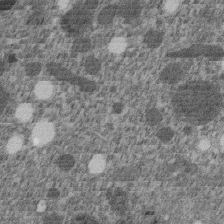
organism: C. elegans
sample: C. elegans embryo early stage